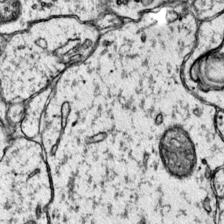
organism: Mouse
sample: Primary visual cortex